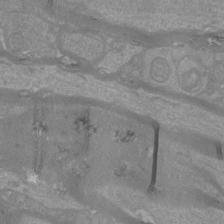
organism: Mouse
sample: Cortical neurons